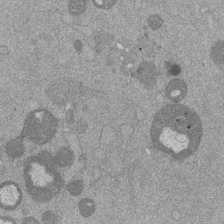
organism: Mouse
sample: Dividing mouse embryo 1 cell stage